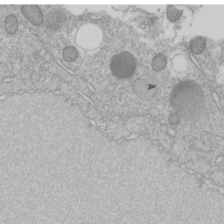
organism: C. elegans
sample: C. elegans embryo early stage